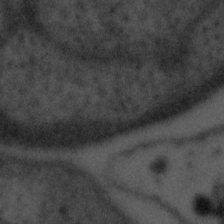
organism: Tuwongella immobilis